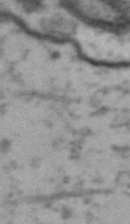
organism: Drosophila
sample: Brain